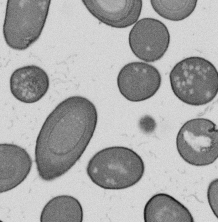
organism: B. subtilis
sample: Bacterial spore